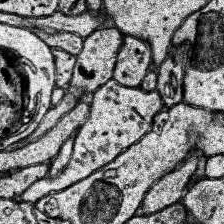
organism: Human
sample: Temporal Lobe